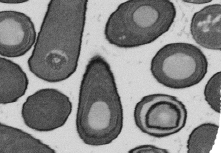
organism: B. subtilis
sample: Bacterial spore